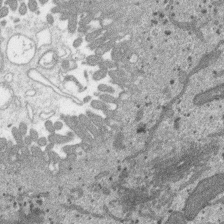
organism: Human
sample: Lung epithelial cells infected with SARS-CoV-2